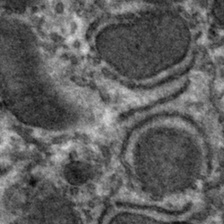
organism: Mouse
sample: Mouse hepatocytes